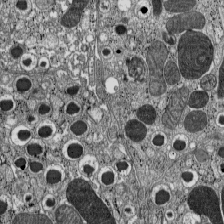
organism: C57BL Mouse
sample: Pancreatic islet